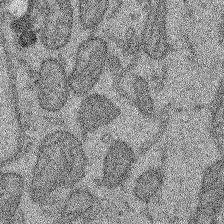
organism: Human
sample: HeLa cells